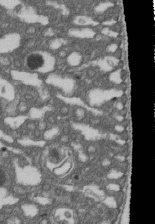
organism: Drosophila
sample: Nephrocyte